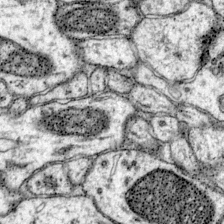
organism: Mouse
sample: Primary visual cortex